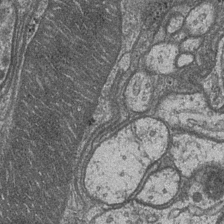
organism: Drosophila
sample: Optic medulla